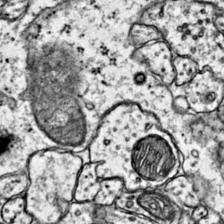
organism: Mouse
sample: Primary visual cortex